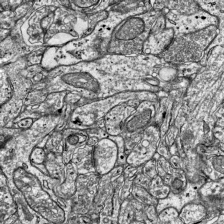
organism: Mouse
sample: Visual Cortex